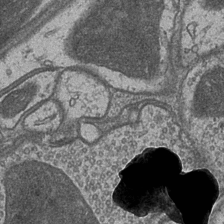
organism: Drosophila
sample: Optic medulla